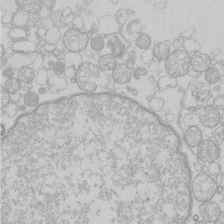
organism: Human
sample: Macrophage cells